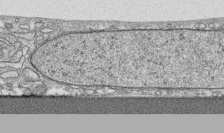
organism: Human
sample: CRL-1474